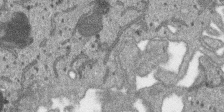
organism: Human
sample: Lung epithelial cells infected with SARS-CoV-2